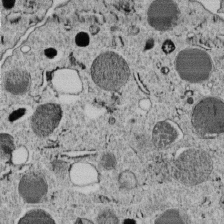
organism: C. elegans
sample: C. elegans embryo early stage